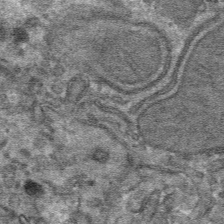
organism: Mouse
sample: Mouse hepatocytes